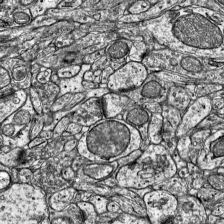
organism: Mouse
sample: Visual Cortex